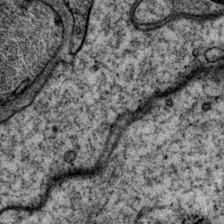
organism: P. pacificus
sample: Pharynx